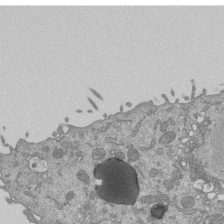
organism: Mouse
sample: ED-1 cell nuclei; centrioles